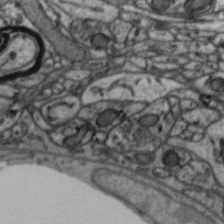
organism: Zebra finch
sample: Brain